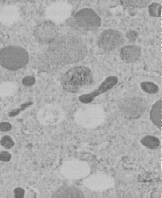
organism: C. elegans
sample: C. elegans embryo early stage